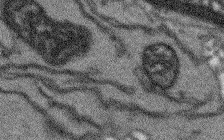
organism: Arabidopsis thaliana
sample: Root tip